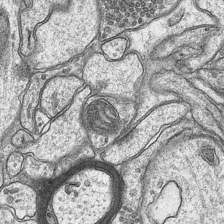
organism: Mouse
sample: CA1 Hippocampus